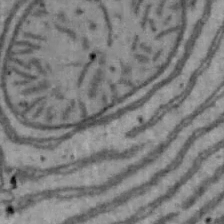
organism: Mouse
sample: Liver